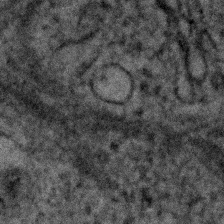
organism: Human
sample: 1205lu cells